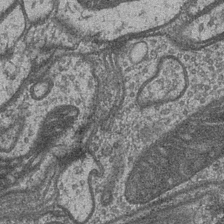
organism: Drosophila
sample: Optic medulla